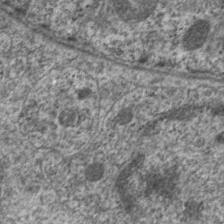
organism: C. elegans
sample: Pharynx